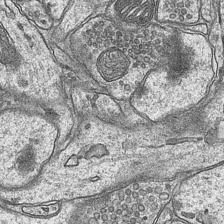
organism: Mouse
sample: CA1 Hippocampus